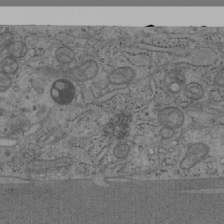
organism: Human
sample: HeLa cells